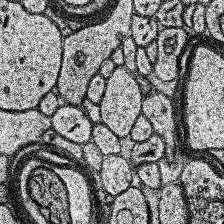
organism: Human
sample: Temporal Lobe